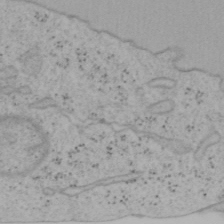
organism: Human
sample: HeLa cells